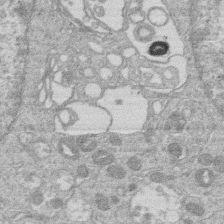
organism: Human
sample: Macrophage cells